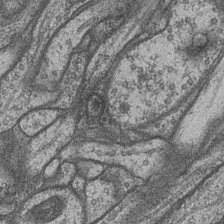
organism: Drosophila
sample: Optic medulla